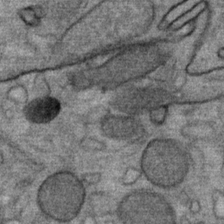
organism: Mouse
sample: Mouse Salivary gland